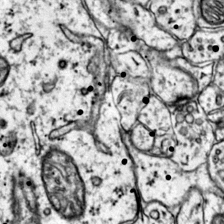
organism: Mouse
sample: Primary visual cortex